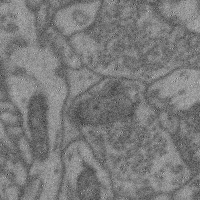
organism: Mouse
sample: Cerebral cortex